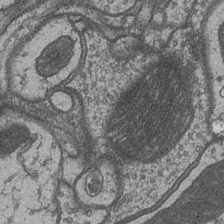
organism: Drosophila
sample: Optic medulla